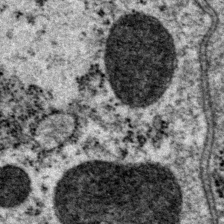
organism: P. pacificus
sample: Pharynx